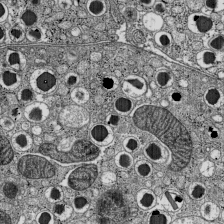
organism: C57BL Mouse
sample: Pancreatic islet